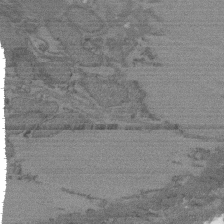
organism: C. elegans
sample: AFD neurons C. elegans